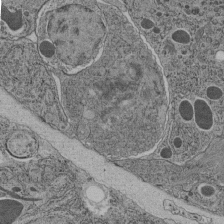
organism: C. elegans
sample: C. elegans pharynx